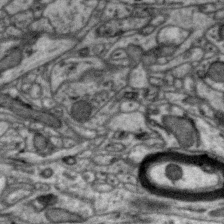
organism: Zebra finch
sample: Brain